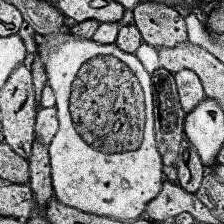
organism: Human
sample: Temporal Lobe